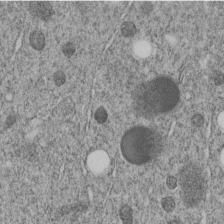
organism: C. elegans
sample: C. elegans embryo early stage